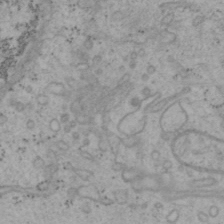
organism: Human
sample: HeLa cells